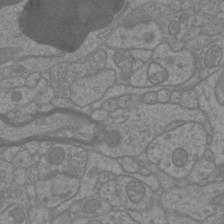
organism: Mouse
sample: Cortical neurons